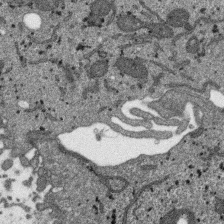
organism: Human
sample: Lung epithelial cells infected with SARS-CoV-2